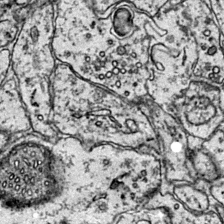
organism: Mouse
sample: Primary visual cortex